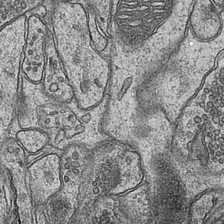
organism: Mouse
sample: CA1 Hippocampus